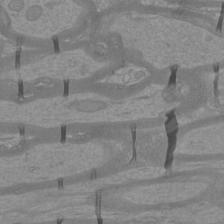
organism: Mouse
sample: Cortical neurons